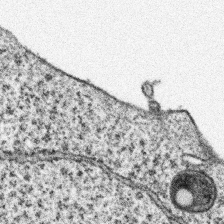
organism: Human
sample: HeLa cells